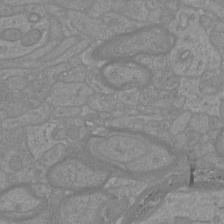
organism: Mouse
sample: Cortical neurons